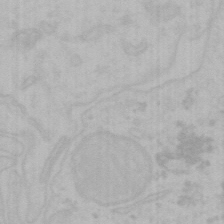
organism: Mouse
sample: Choroid plexus